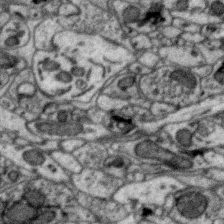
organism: Zebra finch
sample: Brain